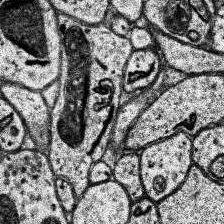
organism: Human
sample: Temporal Lobe